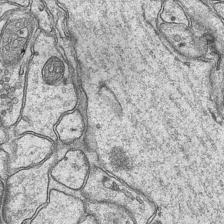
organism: Mouse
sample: CA1 Hippocampus